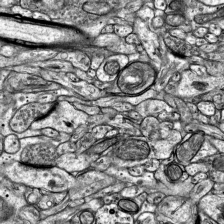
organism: Mouse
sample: Visual Cortex